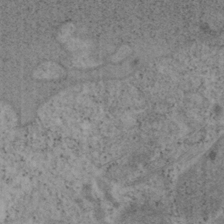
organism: Mouse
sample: OT-I killer T cells with ID8 ovarian cancer cells